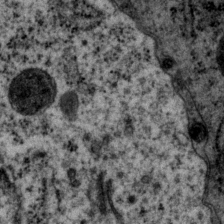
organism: P. pacificus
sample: Pharynx